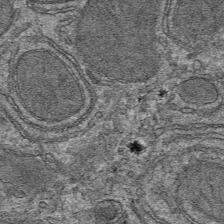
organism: Mouse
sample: Mouse hepatocytes